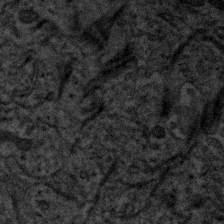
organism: Human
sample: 1205lu cells